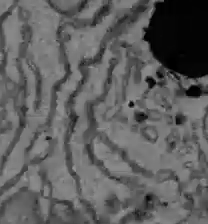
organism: C57BL Mouse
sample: Liver